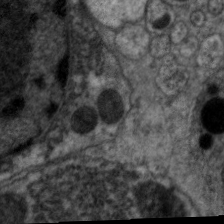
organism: C. elegans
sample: Pharynx